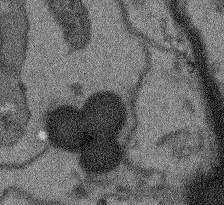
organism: Arabidopsis thaliana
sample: Root tip